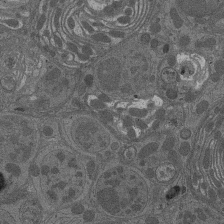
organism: Drosophila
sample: Antenna